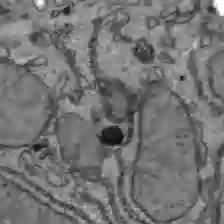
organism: C57BL Mouse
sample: Liver